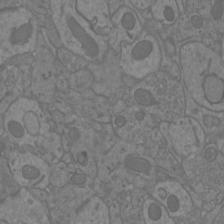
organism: Mouse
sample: Cortical neurons